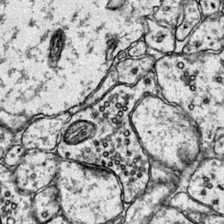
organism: Mouse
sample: Primary visual cortex